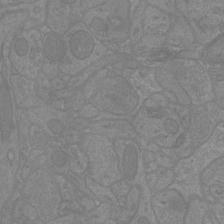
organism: Mouse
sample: Cortical neurons